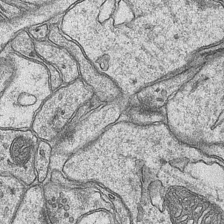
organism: Mouse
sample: CA1 Hippocampus